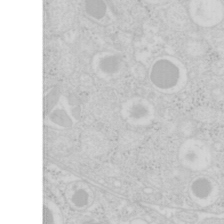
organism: Mouse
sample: Pancreas